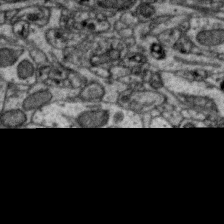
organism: Zebra finch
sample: Brain